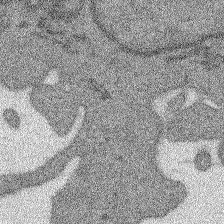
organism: Human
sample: HeLa cells